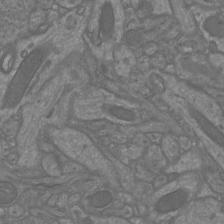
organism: Mouse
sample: Cortical neurons